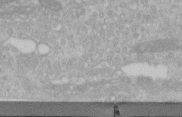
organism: Human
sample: Centriole in RPE cells